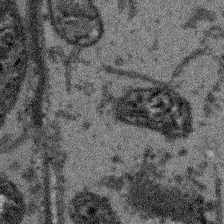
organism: Arabidopsis thaliana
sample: Root tip